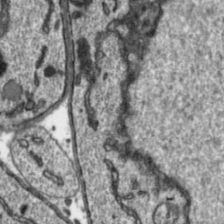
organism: Toxoplasma gondii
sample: Parasites in a vacuole inside a host cell